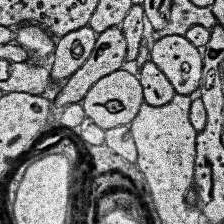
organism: Human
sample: Temporal Lobe